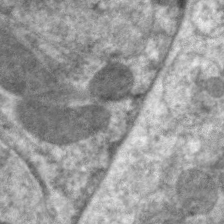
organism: C. elegans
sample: Pharynx